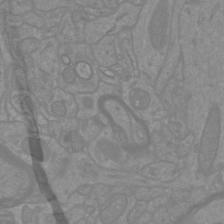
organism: Mouse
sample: Cortical neurons